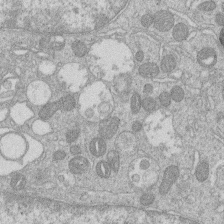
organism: Human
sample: Macrophage cells